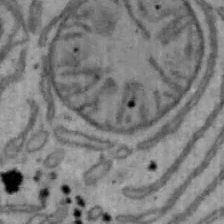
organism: Mouse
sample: Liver